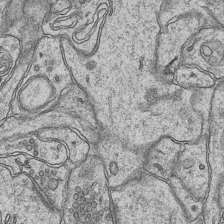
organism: Mouse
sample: CA1 Hippocampus